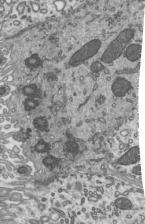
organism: Mouse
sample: Mouse epididymis efferent ductule cilia